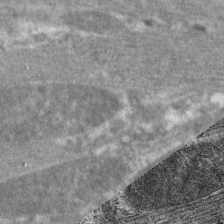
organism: C. elegans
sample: Pharynx